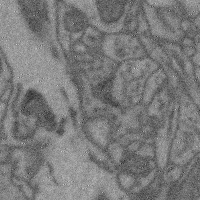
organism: Mouse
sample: Cerebral cortex